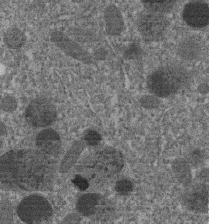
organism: C. elegans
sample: C. elegans embryo early stage